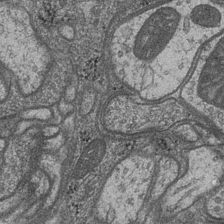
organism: Drosophila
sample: Optic medulla